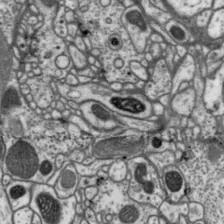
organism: Drosophila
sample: Protocerebral bridge